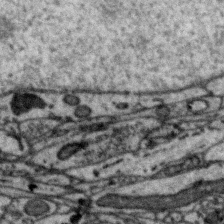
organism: Zebra finch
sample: Brain